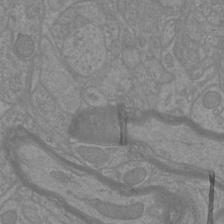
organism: Mouse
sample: Cortical neurons